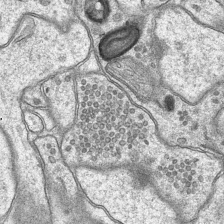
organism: Mouse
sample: CA1 Hippocampus